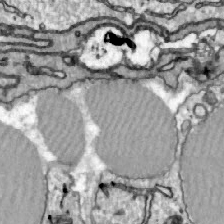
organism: Zebrafish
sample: Actinotrichia fibers